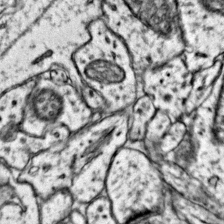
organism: Mouse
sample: Primary visual cortex